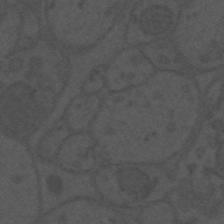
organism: Mouse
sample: Suprachiasmatic nucleus